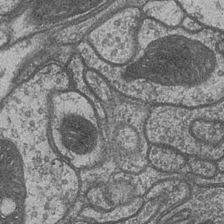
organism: Drosophila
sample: Optic medulla